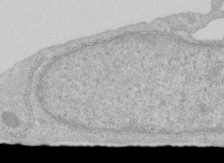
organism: Human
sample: Centriole in RPE cells